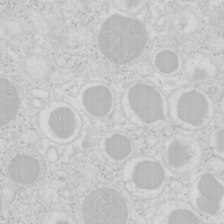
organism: Mouse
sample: Pancreas